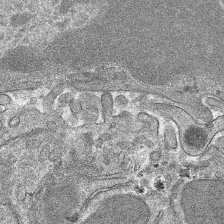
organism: Mouse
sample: Mouse hepatocytes